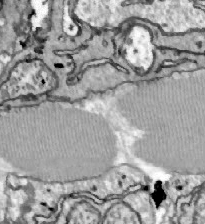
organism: Zebrafish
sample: Actinotrichia fibers